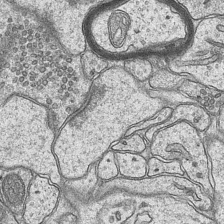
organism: Mouse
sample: CA1 Hippocampus